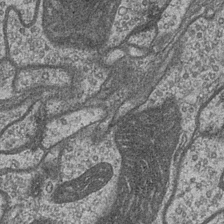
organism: Drosophila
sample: Optic medulla